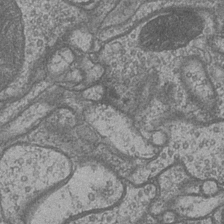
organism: Drosophila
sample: Optic medulla